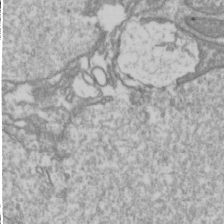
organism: Drosophila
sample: Cell division; meiosis; drosophila spermatocytes